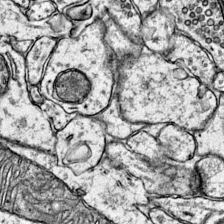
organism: Mouse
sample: Primary visual cortex